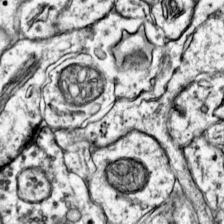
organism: Mouse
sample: Primary visual cortex